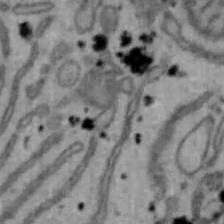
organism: Mouse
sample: Liver